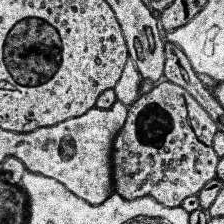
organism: Human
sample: Temporal Lobe